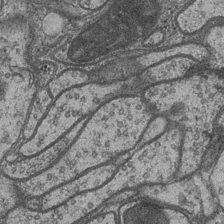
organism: Drosophila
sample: Optic medulla